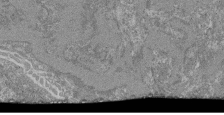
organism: Mouse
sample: Glomerulus